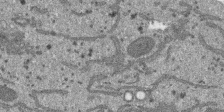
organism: Human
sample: Lung epithelial cells infected with SARS-CoV-2